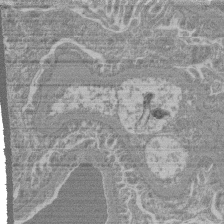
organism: Mouse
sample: Glomerulus